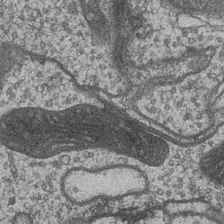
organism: Drosophila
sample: Optic medulla